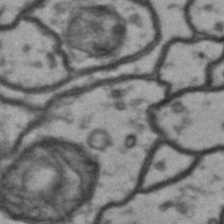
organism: Drosophila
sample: Brain